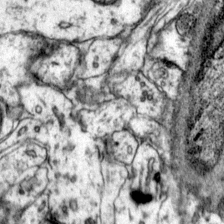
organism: Mouse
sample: Primary visual cortex